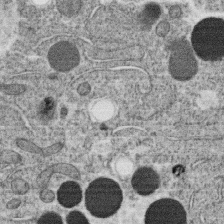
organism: C. elegans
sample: C. elegans oocyte; sperm cells